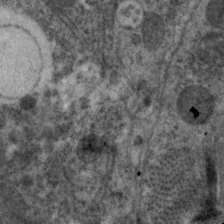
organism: C. elegans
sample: Pharynx